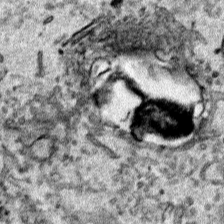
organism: Human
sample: Mitochondria in HCT116 cells